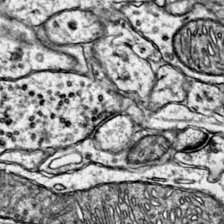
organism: Mouse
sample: Primary visual cortex